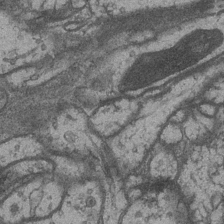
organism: Drosophila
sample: Optic medulla